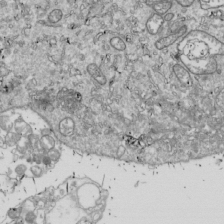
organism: Drosophila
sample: Cell division; meiosis; drosophila spermatocytes